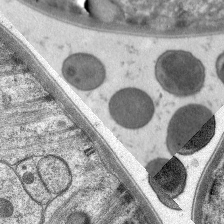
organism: C. elegans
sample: Pharynx